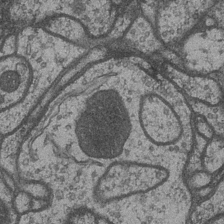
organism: Drosophila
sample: Optic medulla